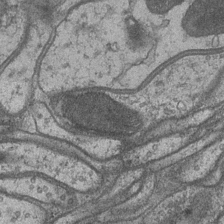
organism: Drosophila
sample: Optic medulla